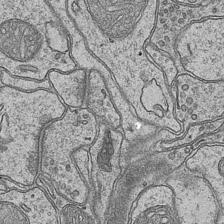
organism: Mouse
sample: CA1 Hippocampus